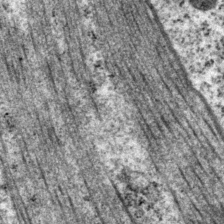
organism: P. pacificus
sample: Pharynx